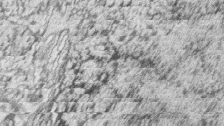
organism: Zebrafish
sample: synaptic ribbons in rod cells and cone cells